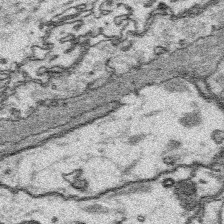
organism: Platynereis dumerilii